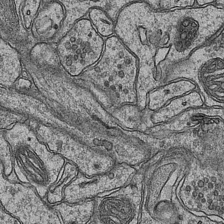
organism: Mouse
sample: CA1 Hippocampus